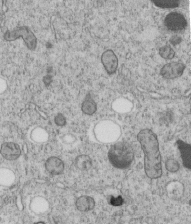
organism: C. elegans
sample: C. elegans embryo early stage